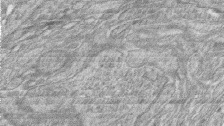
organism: Zebrafish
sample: synaptic ribbons in rod cells and cone cells